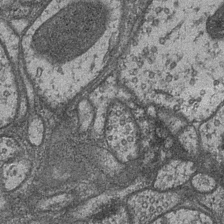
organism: Drosophila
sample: Optic medulla